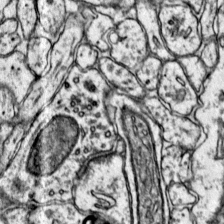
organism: Mouse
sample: Primary visual cortex